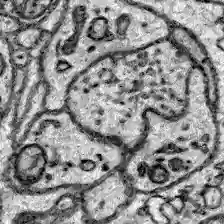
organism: Zebrafish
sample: Brain